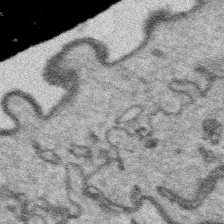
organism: Platynereis dumerilii